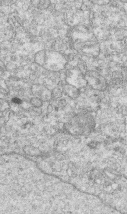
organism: Human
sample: HeLa cell HIV synapse